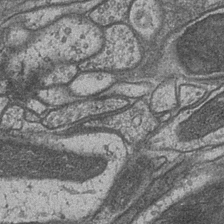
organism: Drosophila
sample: Optic medulla